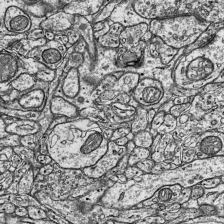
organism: Mouse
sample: Visual Cortex